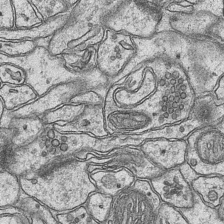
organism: Mouse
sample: CA1 Hippocampus